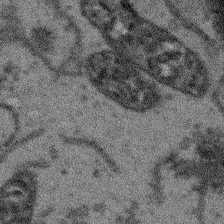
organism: Arabidopsis thaliana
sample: Root tip